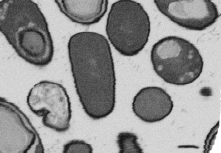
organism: B. subtilis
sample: Bacterial spore